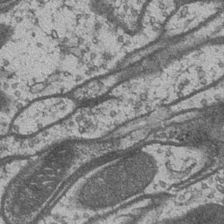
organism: Drosophila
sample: Optic medulla